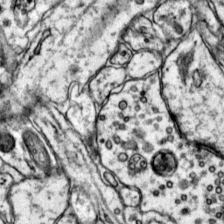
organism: Mouse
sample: Primary visual cortex